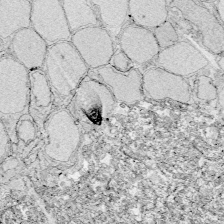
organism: Zebrafish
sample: Whole-Brain